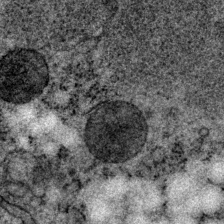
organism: P. pacificus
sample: Pharynx